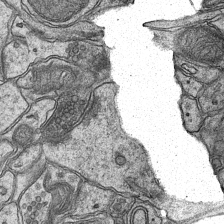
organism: Mouse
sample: CA1 Hippocampus